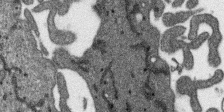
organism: Human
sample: Lung epithelial cells infected with SARS-CoV-2